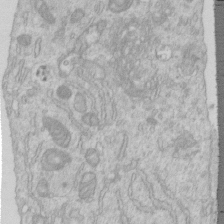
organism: Human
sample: Centriole in RPE cells